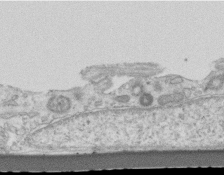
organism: Mouse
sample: Centriole in ependymal cells